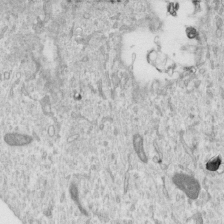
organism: Human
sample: Centriole in RPE cells